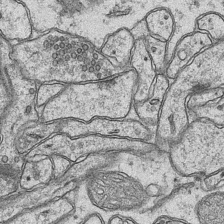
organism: Mouse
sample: CA1 Hippocampus